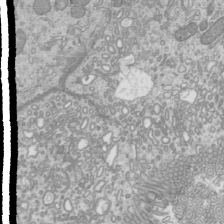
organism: Mouse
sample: Cilia; mouse epididymis